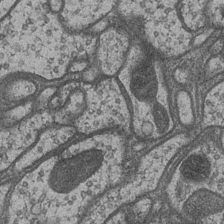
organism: Drosophila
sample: Optic medulla